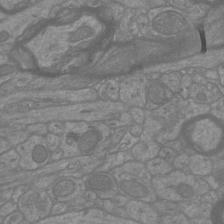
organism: Mouse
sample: Cortical neurons